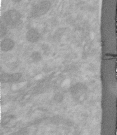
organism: Human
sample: Centriole in RPE cells